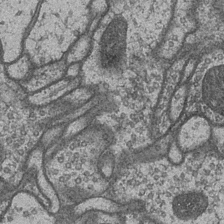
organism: Drosophila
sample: Optic medulla